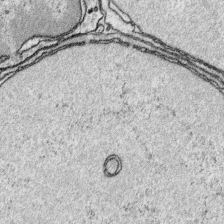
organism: Platynereis dumerilii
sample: Parapodia